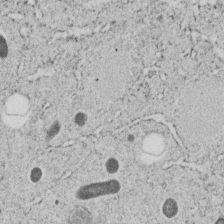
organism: C. elegans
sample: C. elegans embryo early stage